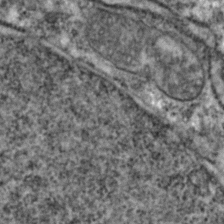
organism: Zebrafish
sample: Zebrafish embryo